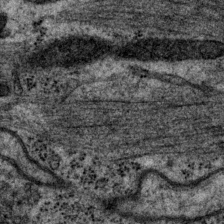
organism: P. pacificus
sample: Pharynx